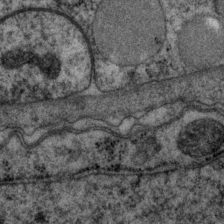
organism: P. pacificus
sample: Pharynx